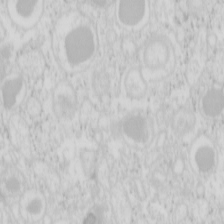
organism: Mouse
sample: Pancreas